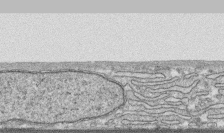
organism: Human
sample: CRL-1474